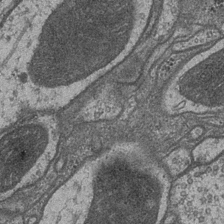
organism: Drosophila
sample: Optic medulla